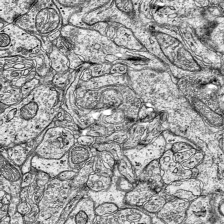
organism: Mouse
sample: Visual Cortex